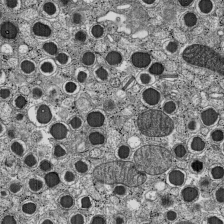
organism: C57BL Mouse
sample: Pancreatic islet